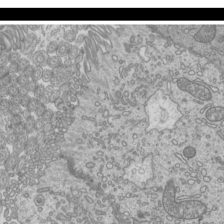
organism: Mouse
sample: Cilia; mouse epididymis